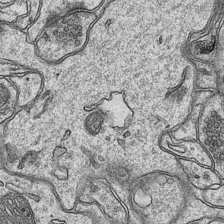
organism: Mouse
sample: CA1 Hippocampus